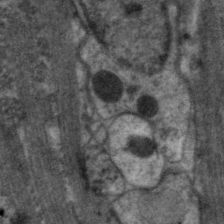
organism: C. elegans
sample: Pharynx